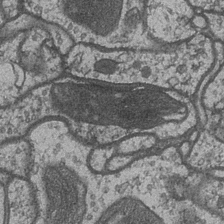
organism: Drosophila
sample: Optic medulla